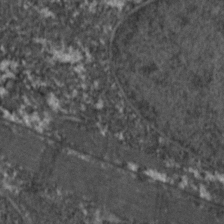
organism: Zebrafish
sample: Zebrafish embryo